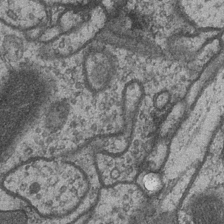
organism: Drosophila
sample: Optic medulla